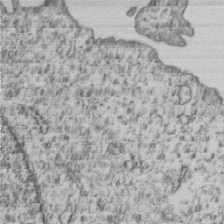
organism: Human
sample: MDA-MB-231 cells